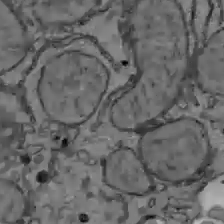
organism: C57BL Mouse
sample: Liver